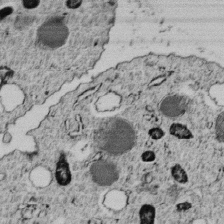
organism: C. elegans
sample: C. elegans embryo early stage